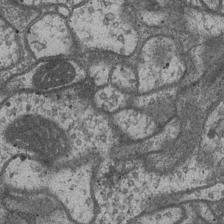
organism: Drosophila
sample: Optic medulla